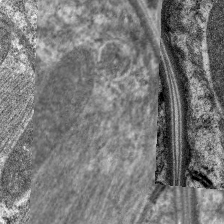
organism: C. elegans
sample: Pharynx